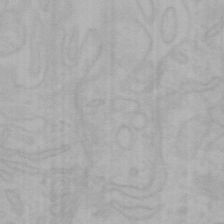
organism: Mouse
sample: Choroid plexus